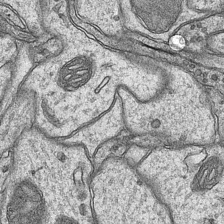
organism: Mouse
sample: CA1 Hippocampus